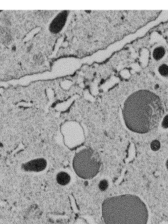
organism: C. elegans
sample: C. elegans embryo early stage